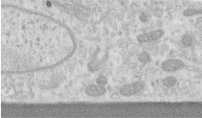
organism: Human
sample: Centriole in RPE cells